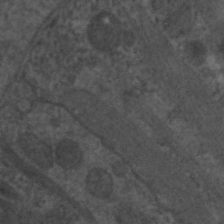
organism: C. elegans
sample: Pharynx